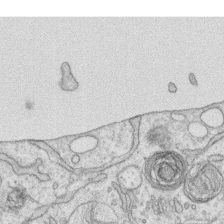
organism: Human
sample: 1205lu cells